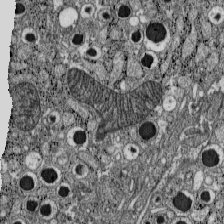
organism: C57BL Mouse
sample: Pancreatic islet